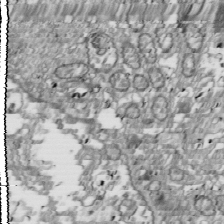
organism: Drosophila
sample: Cell division; meiosis; drosophila spermatocytes